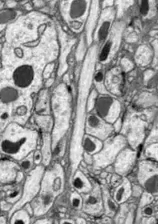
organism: Drosophila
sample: Optic lobe